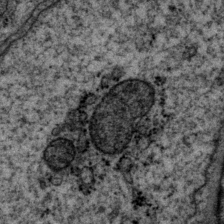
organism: P. pacificus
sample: Pharynx